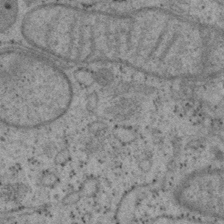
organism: Human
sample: HeLa cells